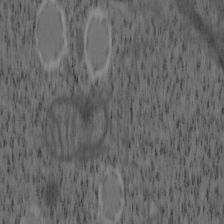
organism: Human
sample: HeLa cells